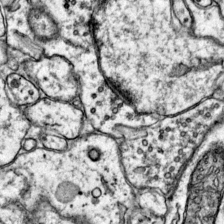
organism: Mouse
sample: Primary visual cortex